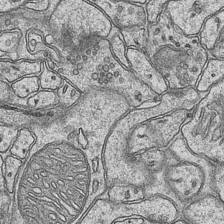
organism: Mouse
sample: CA1 Hippocampus